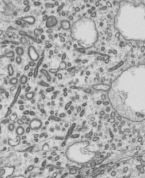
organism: Mouse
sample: Mouse epididymis efferent ductule cilia